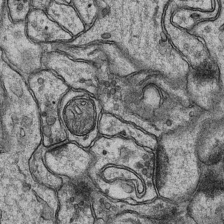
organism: Mouse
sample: CA1 Hippocampus